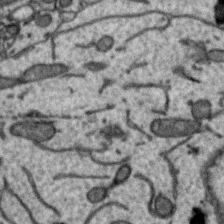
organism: Zebra finch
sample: Brain